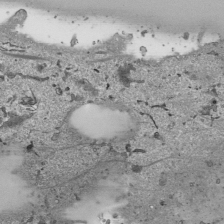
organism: Human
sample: Mitochondria in HCT116 cells